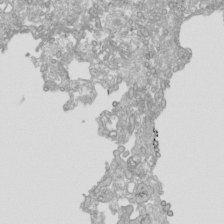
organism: Human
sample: Mitochondria in HCT116 cells